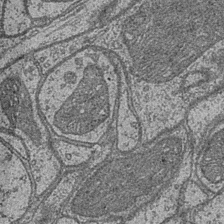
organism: Drosophila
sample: Optic medulla